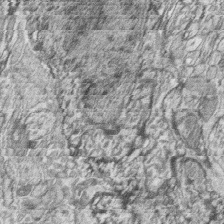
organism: Zebrafish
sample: synaptic ribbons in rod cells and cone cells